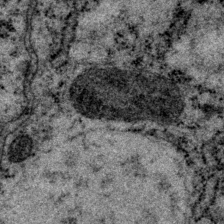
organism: P. pacificus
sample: Pharynx